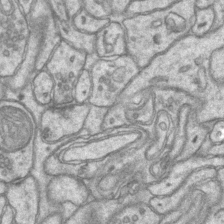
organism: Mouse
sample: CA1 Hippocampus